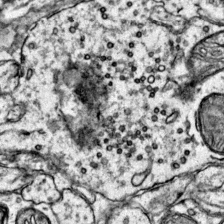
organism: Mouse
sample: Primary visual cortex